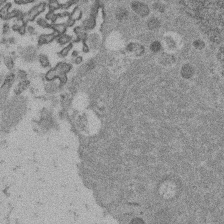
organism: Mouse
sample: Dividing mouse embryo 1 cell stage